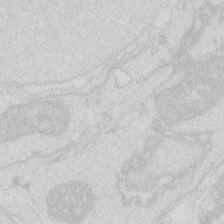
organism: Zebrafish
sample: Macrophage